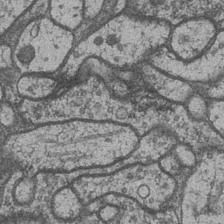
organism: Drosophila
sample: Optic medulla